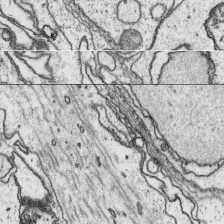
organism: Platynereis dumerilii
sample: Parapodia